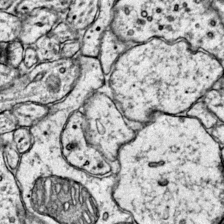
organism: Mouse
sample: Primary visual cortex